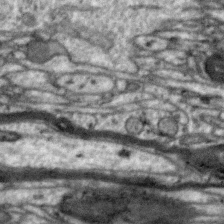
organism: Zebra finch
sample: Brain